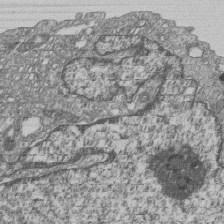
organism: Human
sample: MDA-MB-231 cells